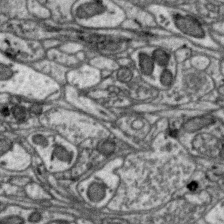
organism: Zebra finch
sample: Brain